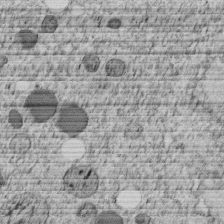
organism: C. elegans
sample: C. elegans embryo early stage